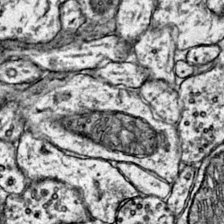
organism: Mouse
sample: Primary visual cortex